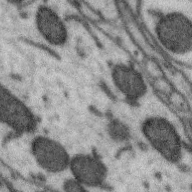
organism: Zebra finch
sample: Brain